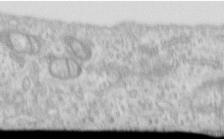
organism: Human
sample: Centriole in RPE cells